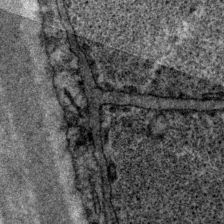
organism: P. pacificus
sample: Pharynx